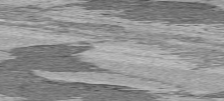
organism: C57BL Mouse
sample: Heart